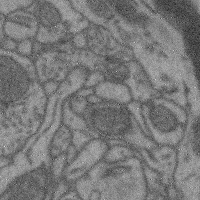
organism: Mouse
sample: Cerebral cortex